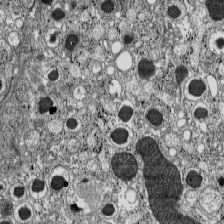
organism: C57BL Mouse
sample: Pancreatic islet